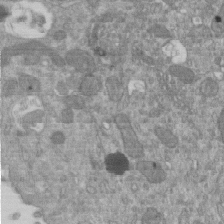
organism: Mouse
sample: ED-1 cell nuclei; centrioles